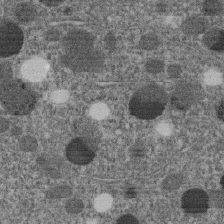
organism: C. elegans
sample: C. elegans embryo early stage